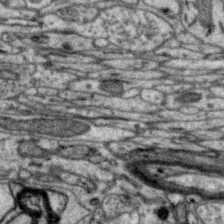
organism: Zebra finch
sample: Brain